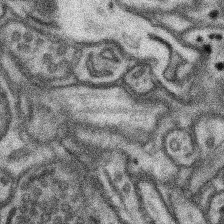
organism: Mouse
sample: Somatosensory cortex neuropil